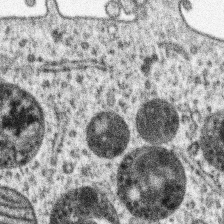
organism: Human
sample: HeLa cells